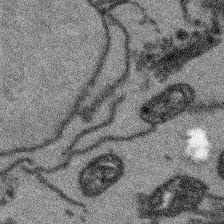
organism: Arabidopsis thaliana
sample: Root tip